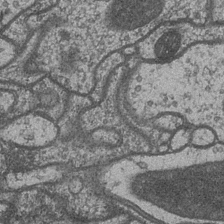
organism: Drosophila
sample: Optic medulla